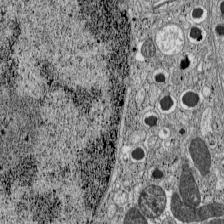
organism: C57BL Mouse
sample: Pancreatic islet